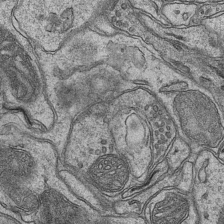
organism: Mouse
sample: CA1 Hippocampus